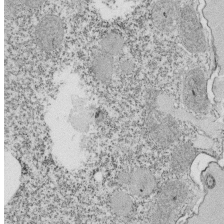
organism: Tetrahymena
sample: Cilia in tetrahymena